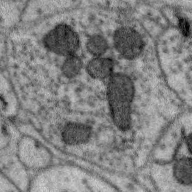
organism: Zebra finch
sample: Brain